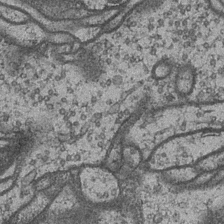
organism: Drosophila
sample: Optic medulla